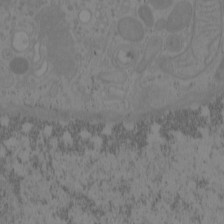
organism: Human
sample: HeLa cells